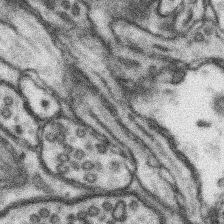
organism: Mouse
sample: Somatosensory cortex neuropil